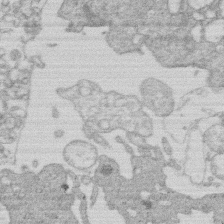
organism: Human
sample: Macrophage cells